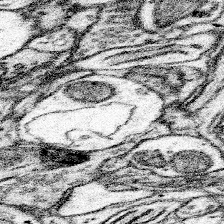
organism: Mouse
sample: Somatosensory cortex neuropil